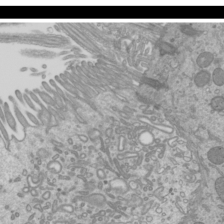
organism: Mouse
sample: Cilia; mouse epididymis